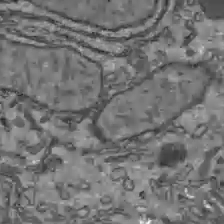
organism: C57BL Mouse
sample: Liver